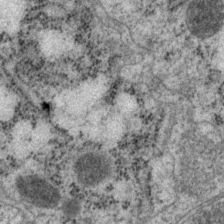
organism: P. pacificus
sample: Pharynx